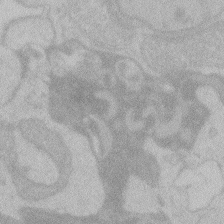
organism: Zebrafish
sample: Macrophage infected with Toxoplasma gondii